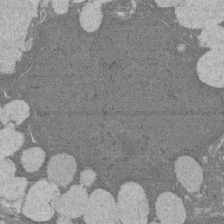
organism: Rat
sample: Salivary granule